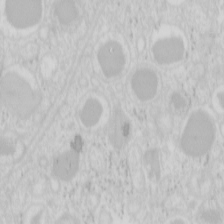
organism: Mouse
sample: Pancreas